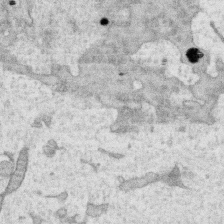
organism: Human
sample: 1205lu cells